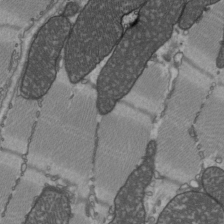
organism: C57BL Mouse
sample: Heart